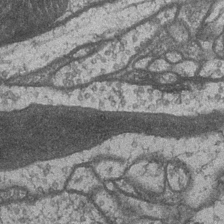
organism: Drosophila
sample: Optic medulla